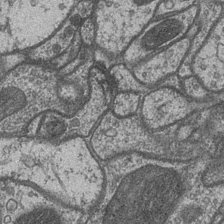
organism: Drosophila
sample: Optic medulla